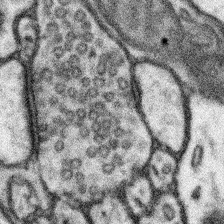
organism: Mouse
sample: Somatosensory cortex neuropil